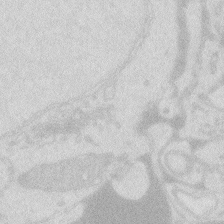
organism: Zebrafish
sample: Macrophage